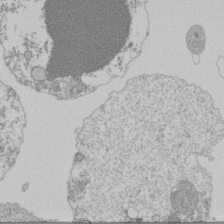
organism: Mouse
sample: Activated Pmel transgenic CD8+ T Cells